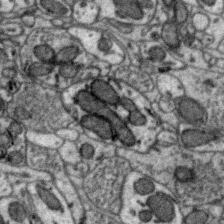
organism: Zebra finch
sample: Brain